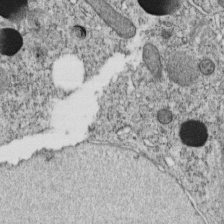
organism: C. elegans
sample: C. elegans embryo early stage